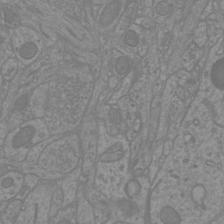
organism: Mouse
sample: Cortical neurons